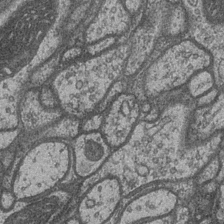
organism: Drosophila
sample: Optic medulla